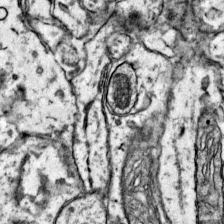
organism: Mouse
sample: Primary visual cortex